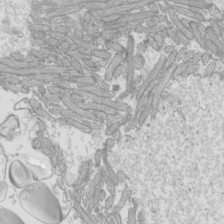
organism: Mouse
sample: Cilia; mouse epididymis